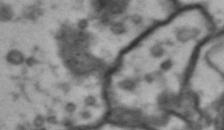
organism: Drosophila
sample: Brain